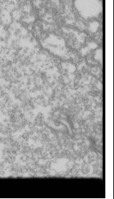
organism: Drosophila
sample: Cell division; meiosis; drosophila spermatocytes